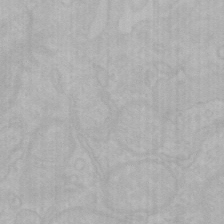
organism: Mouse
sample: Choroid plexus